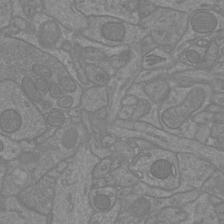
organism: Mouse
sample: Cortical neurons